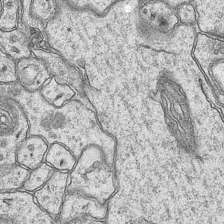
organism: Mouse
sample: CA1 Hippocampus